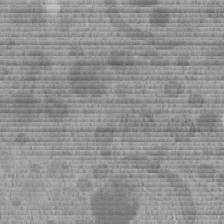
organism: C. elegans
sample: C. elegans embryo early stage